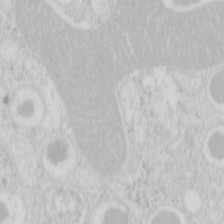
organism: Mouse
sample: Pancreas